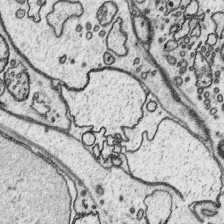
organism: Platynereis dumerilii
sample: Parapodia